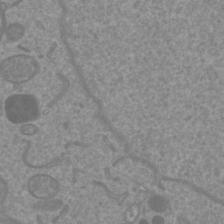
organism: Mouse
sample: Cortical neurons